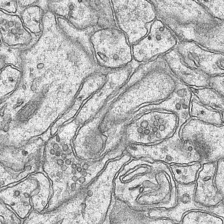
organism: Mouse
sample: CA1 Hippocampus